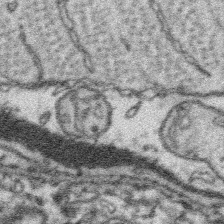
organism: Platynereis dumerilii